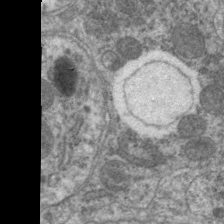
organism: C. elegans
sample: Pharynx